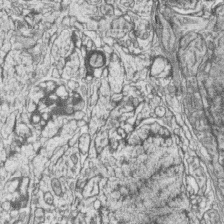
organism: Zebrafish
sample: synaptic ribbons in rod cells and cone cells